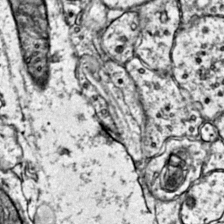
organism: Mouse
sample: Primary visual cortex